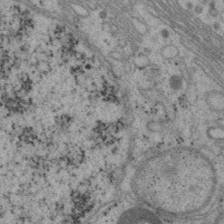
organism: Human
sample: HeLa cells